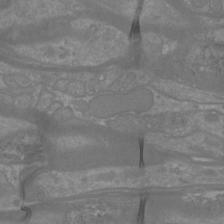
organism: Mouse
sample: Cortical neurons